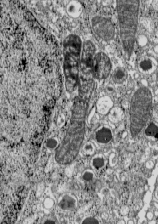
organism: C57BL Mouse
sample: Pancreatic islet